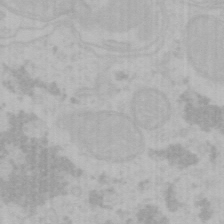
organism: Mouse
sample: Choroid plexus